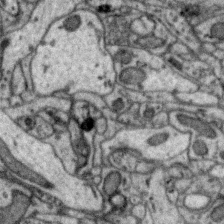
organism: Zebra finch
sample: Brain